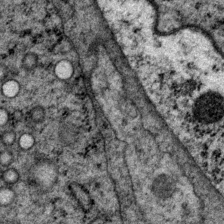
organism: P. pacificus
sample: Pharynx